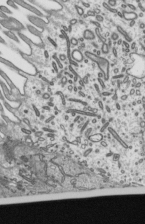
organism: Mouse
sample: Mouse epididymis efferent ductule cilia